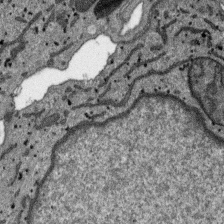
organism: Human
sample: Lung epithelial cells, uninfected (mock) control